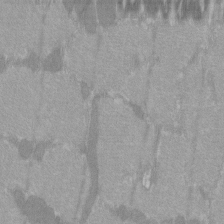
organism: C57BL Mouse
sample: Tibialis anterior muscle cell